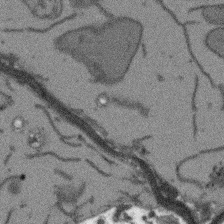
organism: Arabidopsis thaliana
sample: Root tip